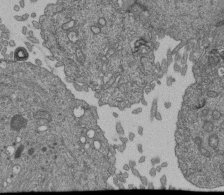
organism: Human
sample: Retinal organoid Rod and Cone cells